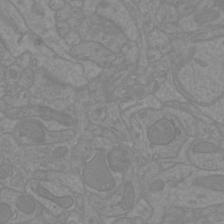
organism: Mouse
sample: Cortical neurons